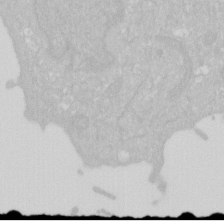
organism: Human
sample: HIV infected U937 cells